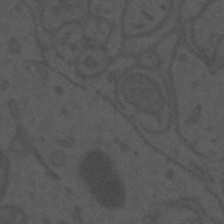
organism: Mouse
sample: Suprachiasmatic nucleus